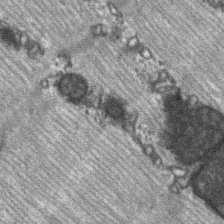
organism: C57BL Mouse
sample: Soleus